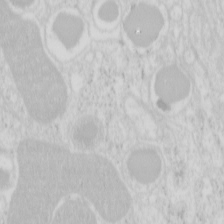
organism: Mouse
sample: Pancreas